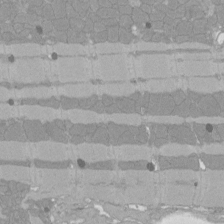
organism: Rat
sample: Left ventricle